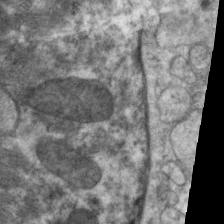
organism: C. elegans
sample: Pharynx